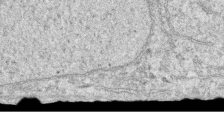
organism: Human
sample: HeLa cell HIV synapse